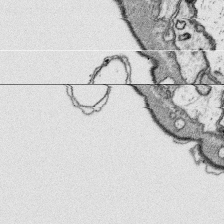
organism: Platynereis dumerilii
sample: Parapodia